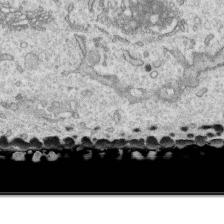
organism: Human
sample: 1205lu cells